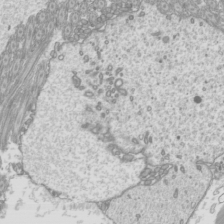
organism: Mouse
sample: Cilia; mouse epididymis